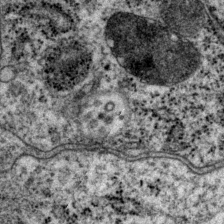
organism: P. pacificus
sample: Pharynx